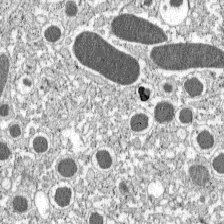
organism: C57BL Mouse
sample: Pancreatic islet